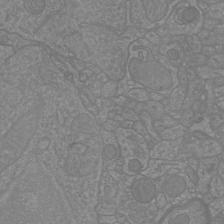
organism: Mouse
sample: Cortical neurons